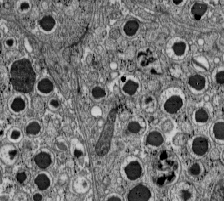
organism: C57BL Mouse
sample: Pancreatic islet